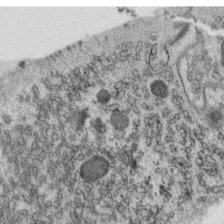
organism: C. elegans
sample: C. elegans oocyte; sperm cells